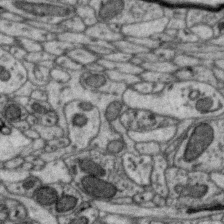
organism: Zebra finch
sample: Brain